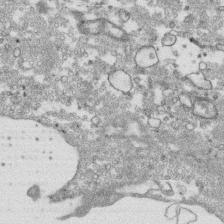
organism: Human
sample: CRL-1474